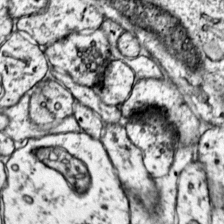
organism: Mouse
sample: Primary visual cortex